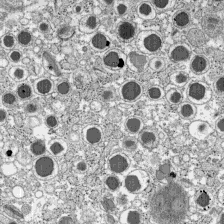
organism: C57BL Mouse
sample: Pancreatic islet